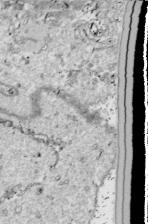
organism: Drosophila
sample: Cell division; meiosis; drosophila spermatocytes